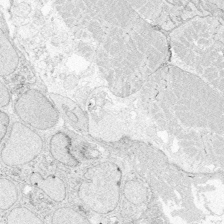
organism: Zebrafish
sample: Whole-Brain